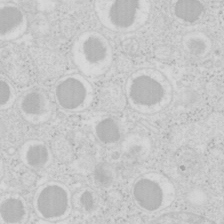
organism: Mouse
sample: Pancreas